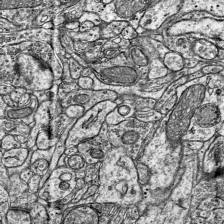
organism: Mouse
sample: Visual Cortex